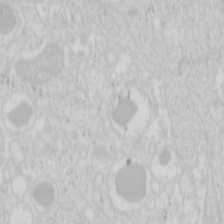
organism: Mouse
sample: Pancreas